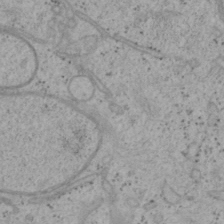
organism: Human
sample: HeLa cells